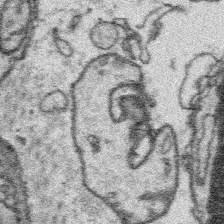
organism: Platynereis dumerilii